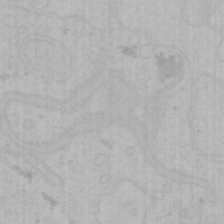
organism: Mouse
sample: Choroid plexus